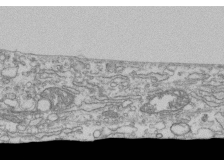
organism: Human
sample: Fibroblast cells